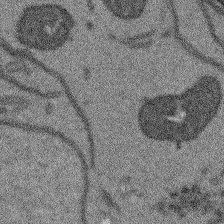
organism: Arabidopsis thaliana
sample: Root tip